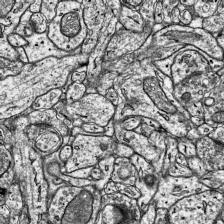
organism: Mouse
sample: Visual Cortex